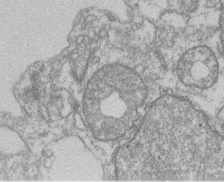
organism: Mouse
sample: T cell stromal cell synapse